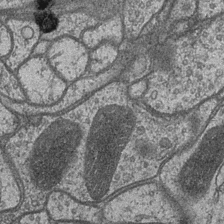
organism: Drosophila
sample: Optic medulla